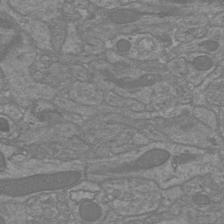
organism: Mouse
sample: Cortical neurons